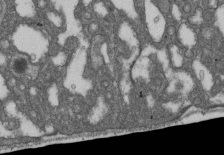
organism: Drosophila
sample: Nephrocyte